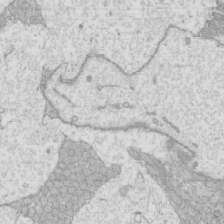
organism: Mouse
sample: Cilia; mouse epididymis